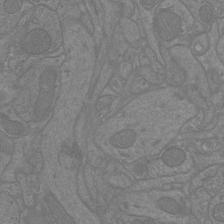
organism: Mouse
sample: Cortical neurons